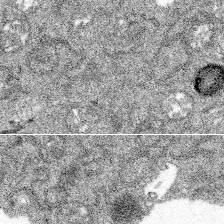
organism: Spongilla lacustris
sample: Multiple